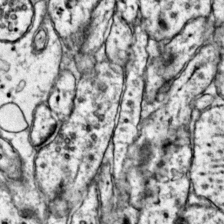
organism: Mouse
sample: Primary visual cortex